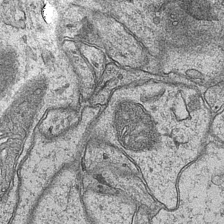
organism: Mouse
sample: CA1 Hippocampus